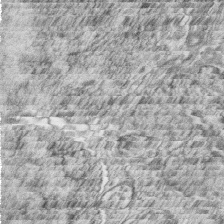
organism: Zebrafish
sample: synaptic ribbons in rod cells and cone cells